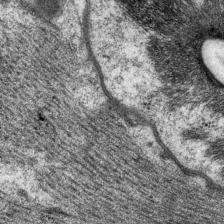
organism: P. pacificus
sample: Pharynx